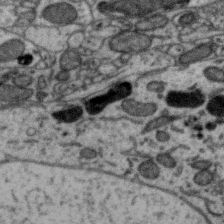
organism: Zebra finch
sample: Brain